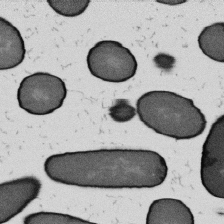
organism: B. subtilis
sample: Bacterial spore